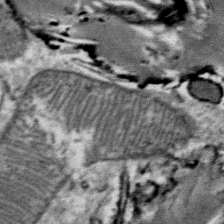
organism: Mouse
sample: Mouse Salivary gland